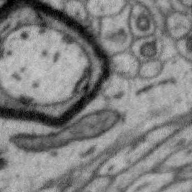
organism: Zebra finch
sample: Brain